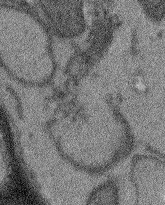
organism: Arabidopsis thaliana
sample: Root tip